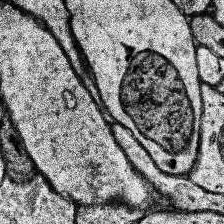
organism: Human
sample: Temporal Lobe